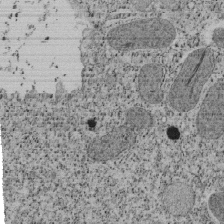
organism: Tetrahymena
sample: Cilia in tetrahymena